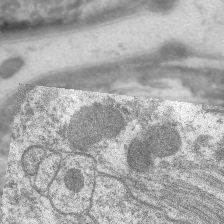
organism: C. elegans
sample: Pharynx